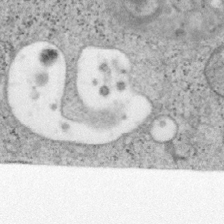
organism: Mouse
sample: OT-I killer T cells with ID8 ovarian cancer cells